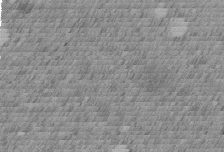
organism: C. elegans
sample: C. elegans embryo early stage